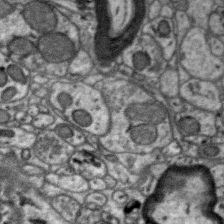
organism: Zebra finch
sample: Brain